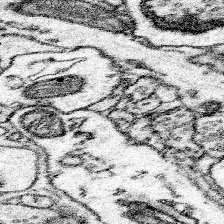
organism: Mouse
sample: Somatosensory cortex neuropil